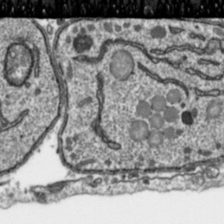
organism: Toxoplasma gondii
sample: Parasites in a vacuole inside a host cell